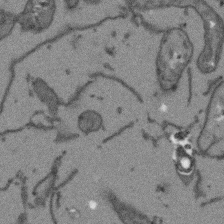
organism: Arabidopsis thaliana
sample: Root tip